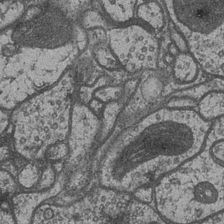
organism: Drosophila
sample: Optic medulla